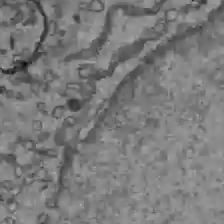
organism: C57BL Mouse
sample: Liver